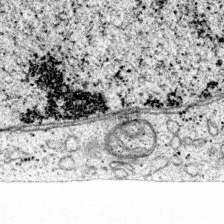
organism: Human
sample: HeLa cells